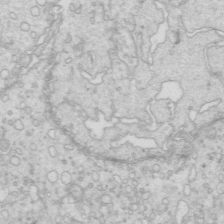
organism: Mouse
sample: Multiciliated cells